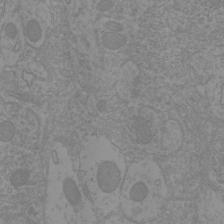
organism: Mouse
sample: Cortical neurons